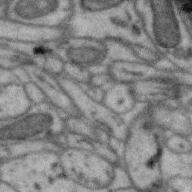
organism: Zebra finch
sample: Brain